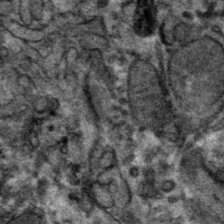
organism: Mouse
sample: Mouse hepatocytes